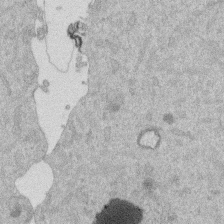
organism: Mouse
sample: Dividing mouse embryo 1 cell stage